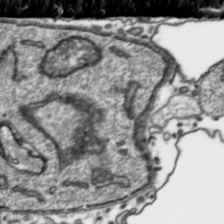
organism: Toxoplasma gondii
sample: Parasites in a vacuole inside a host cell